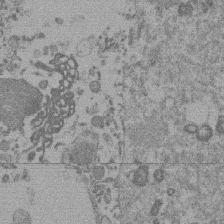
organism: Mouse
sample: Dividing mouse embryo 1 cell stage